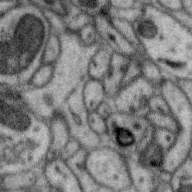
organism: Zebra finch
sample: Brain